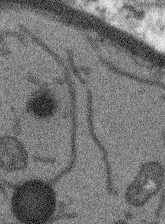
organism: Arabidopsis thaliana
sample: Root tip